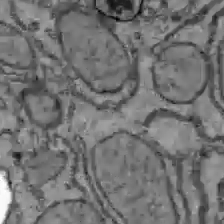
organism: C57BL Mouse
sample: Liver